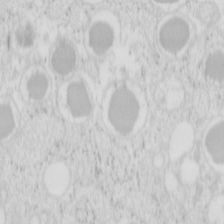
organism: Mouse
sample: Pancreas